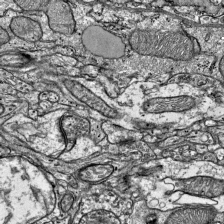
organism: Mouse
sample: Visual Cortex